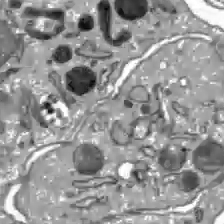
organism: C57BL Mouse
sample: Liver